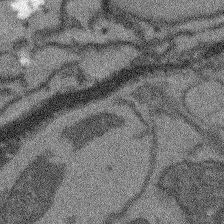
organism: Arabidopsis thaliana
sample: Root tip